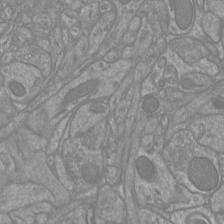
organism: Mouse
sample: Cortical neurons